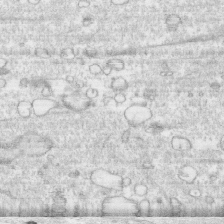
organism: Human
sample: CRL-1474